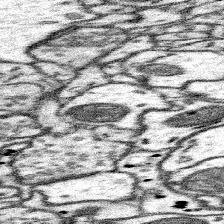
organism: Mouse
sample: Somatosensory cortex neuropil